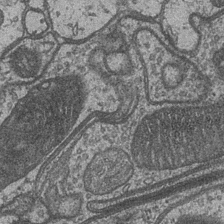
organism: Drosophila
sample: Optic medulla